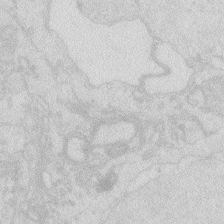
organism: Zebrafish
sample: Macrophage